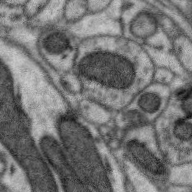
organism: Zebra finch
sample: Brain